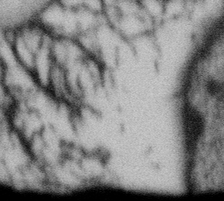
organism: Gemmata obscuriglobus